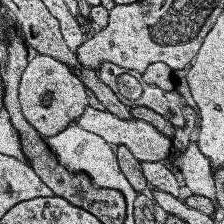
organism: Human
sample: Temporal Lobe